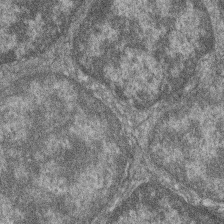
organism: Zebrafish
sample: Cilia; retinal pigment epithelium